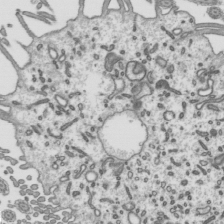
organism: Mouse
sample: Mouse epididymis efferent ductule cilia